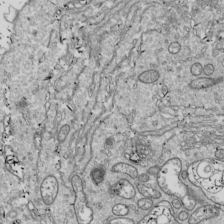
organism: Drosophila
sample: Cell division; meiosis; drosophila spermatocytes